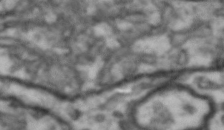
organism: Drosophila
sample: Brain